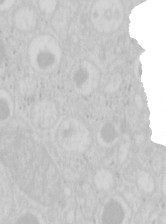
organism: Mouse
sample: Pancreas